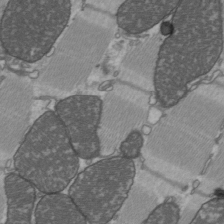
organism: C57BL Mouse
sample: Heart